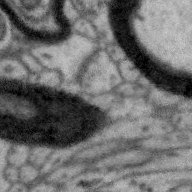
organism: Zebra finch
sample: Brain